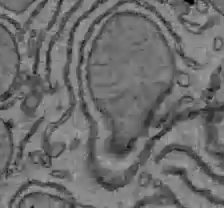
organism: C57BL Mouse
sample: Liver